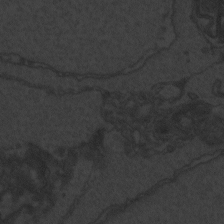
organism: Zebrafish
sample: Macrophage infected with Toxoplasma gondii